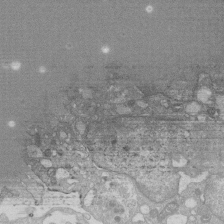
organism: Human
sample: Macrophage cells